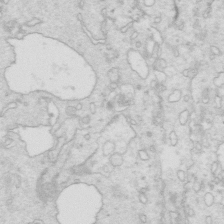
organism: Mouse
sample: Multiciliated cells